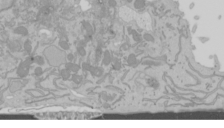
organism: Mouse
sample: Cancer cell death in ED-1 cells